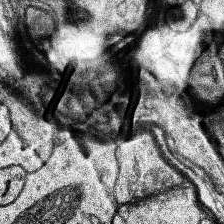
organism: Human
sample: Temporal Lobe